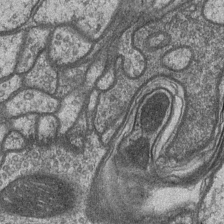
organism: Drosophila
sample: Optic medulla